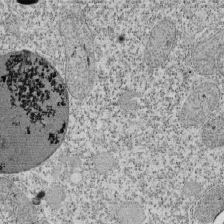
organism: Tetrahymena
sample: Cilia in tetrahymena